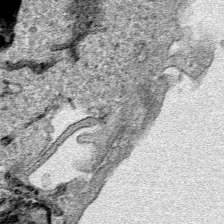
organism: Human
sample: Mitochondria in HCT116 cells